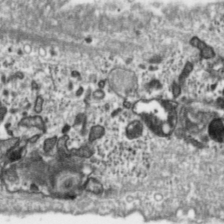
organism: Toxoplasma gondii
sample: Parasites in a vacuole inside a host cell